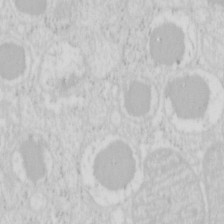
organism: Mouse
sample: Pancreas